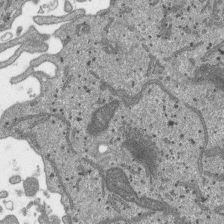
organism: Human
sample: Lung epithelial cells infected with SARS-CoV-2